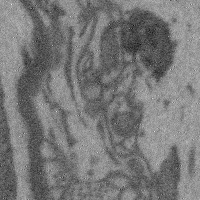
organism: Mouse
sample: Cerebral cortex